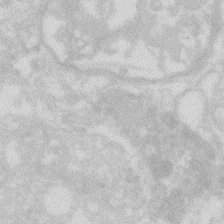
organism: Zebrafish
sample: Macrophage